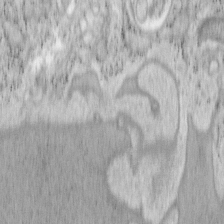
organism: Human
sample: HeLa cells